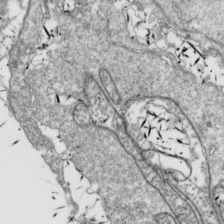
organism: Drosophila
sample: Cell division; meiosis; drosophila spermatocytes